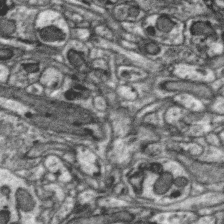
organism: Zebra finch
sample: Brain